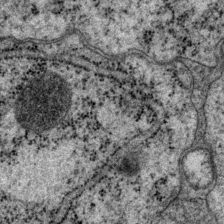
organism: P. pacificus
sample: Pharynx